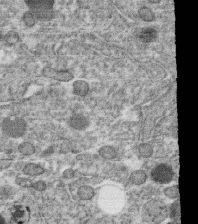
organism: C. elegans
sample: C. elegans oocyte; sperm cells